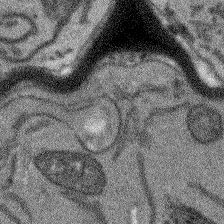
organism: Arabidopsis thaliana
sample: Root tip